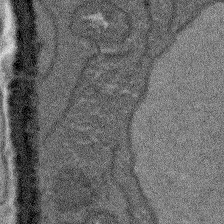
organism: Arabidopsis thaliana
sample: Root tip